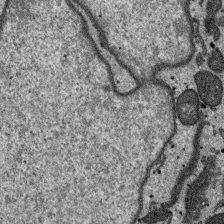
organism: Human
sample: Lung epithelial cells, uninfected (mock) control